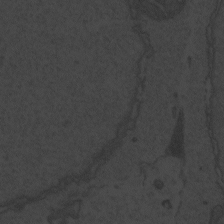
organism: Zebrafish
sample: Macrophage infected with Toxoplasma gondii